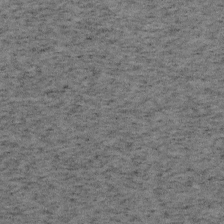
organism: Mouse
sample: OT-I killer T cells with ID8 ovarian cancer cells